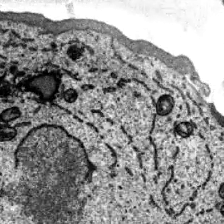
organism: Human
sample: HeLa cells